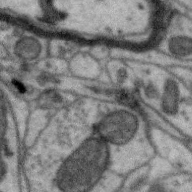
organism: Zebra finch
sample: Brain